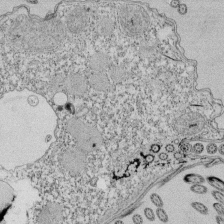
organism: Tetrahymena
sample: Cilia in tetrahymena